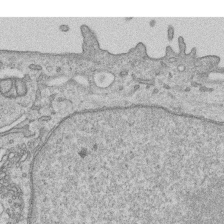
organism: Human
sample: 1205lu cells